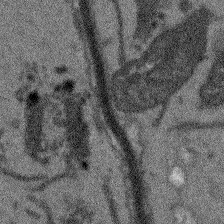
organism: Arabidopsis thaliana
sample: Root tip